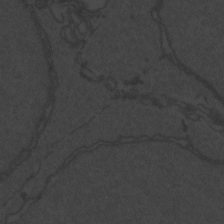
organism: Zebrafish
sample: Macrophage infected with Toxoplasma gondii